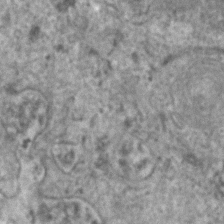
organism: Human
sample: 1205lu cells